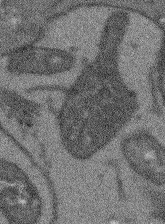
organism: Arabidopsis thaliana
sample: Root tip